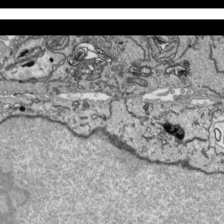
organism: Human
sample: Mitochondria in HCT116 cells